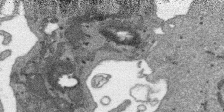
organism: Human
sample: Lung epithelial cells infected with SARS-CoV-2